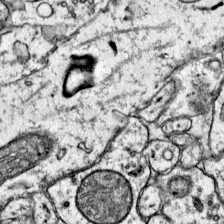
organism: Mouse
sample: Primary visual cortex